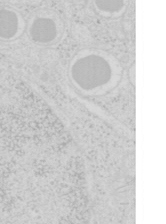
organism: Mouse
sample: Pancreas